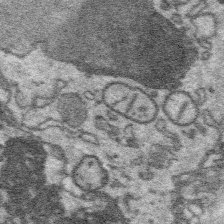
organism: Platynereis dumerilii